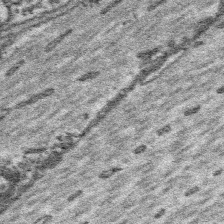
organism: Platynereis dumerilii